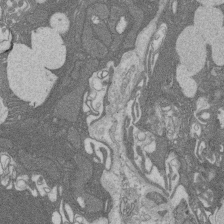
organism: Rat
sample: Salivary granule